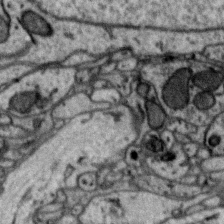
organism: Zebra finch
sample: Brain